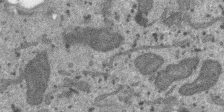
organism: Human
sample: Lung epithelial cells infected with SARS-CoV-2